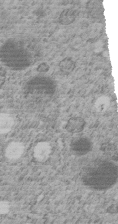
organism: C. elegans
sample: C. elegans embryo early stage